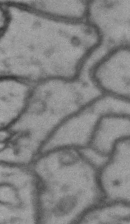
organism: Drosophila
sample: Brain